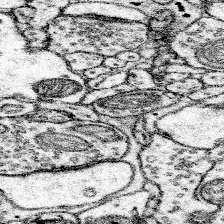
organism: Mouse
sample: Somatosensory cortex neuropil